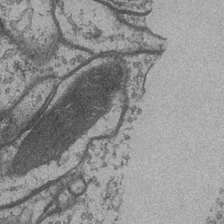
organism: Drosophila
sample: Optic medulla